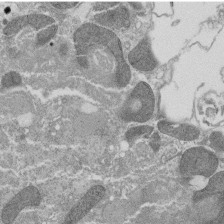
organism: Tetrahymena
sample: Cilia in tetrahymena